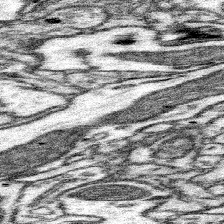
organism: Mouse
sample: Somatosensory cortex neuropil